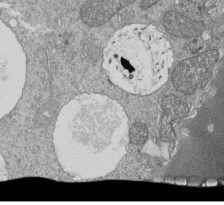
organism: Tetrahymena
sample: Cilia in tetrahymena